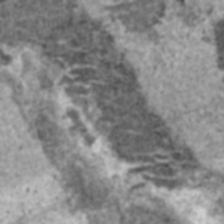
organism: C57BL Mouse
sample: Heart